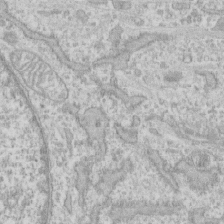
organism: Human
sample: CRL-1474